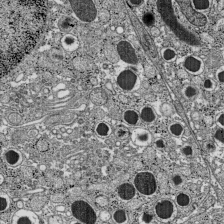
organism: C57BL Mouse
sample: Pancreatic islet